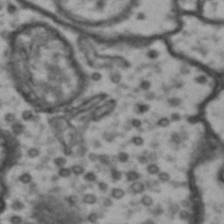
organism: Drosophila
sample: Brain